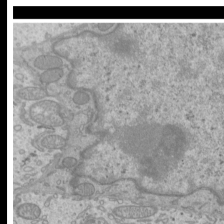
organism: Mouse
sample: Cilia; mouse epididymis